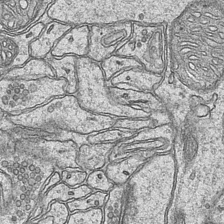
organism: Mouse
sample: CA1 Hippocampus